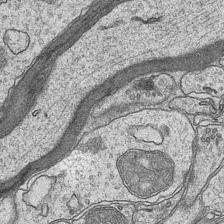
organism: Mouse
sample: CA1 Hippocampus